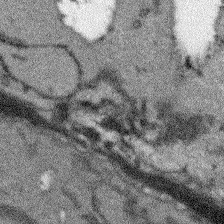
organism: Arabidopsis thaliana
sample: Root tip